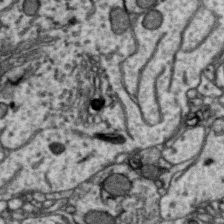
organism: Zebra finch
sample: Brain